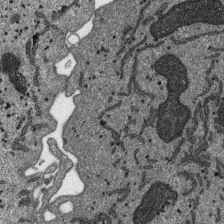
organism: Human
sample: Lung epithelial cells infected with SARS-CoV-2